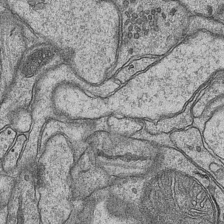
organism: Mouse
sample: CA1 Hippocampus